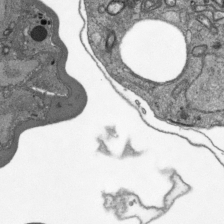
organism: Plasmodium falciparum